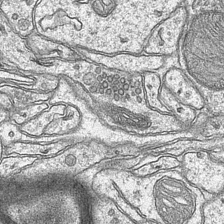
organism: Mouse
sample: CA1 Hippocampus